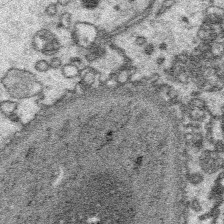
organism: Platynereis dumerilii